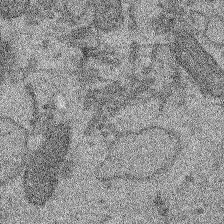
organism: Human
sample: HeLa cells